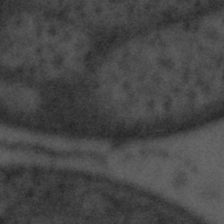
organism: Tuwongella immobilis